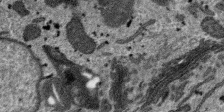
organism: Human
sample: Lung epithelial cells, uninfected (mock) control